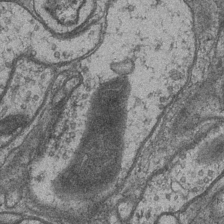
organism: Drosophila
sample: Optic medulla